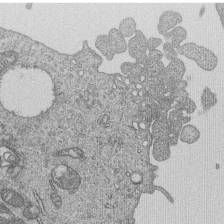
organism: Human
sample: MDA-MB-231 cells